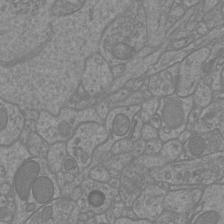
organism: Mouse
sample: Cortical neurons